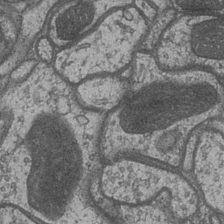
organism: Drosophila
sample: Optic medulla